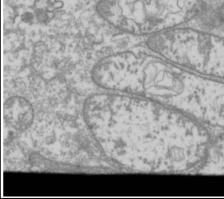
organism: Drosophila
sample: Cell division; meiosis; drosophila spermatocytes